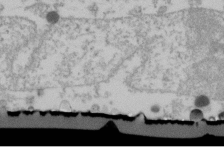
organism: Human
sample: U2-OS cells